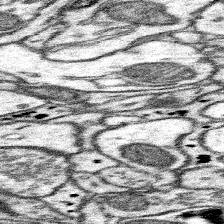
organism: Mouse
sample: Somatosensory cortex neuropil